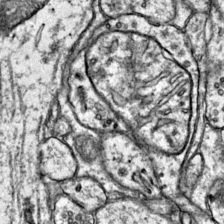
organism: Mouse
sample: Primary visual cortex